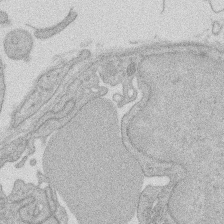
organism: Rat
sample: Salivary granule